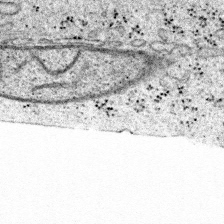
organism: Human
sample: HeLa cells